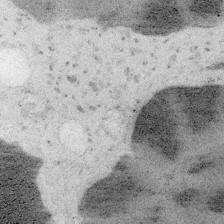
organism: Embia sp.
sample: Silk gland